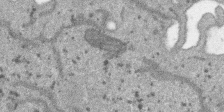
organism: Human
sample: Lung epithelial cells infected with SARS-CoV-2